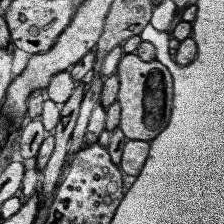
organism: Human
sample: Temporal Lobe